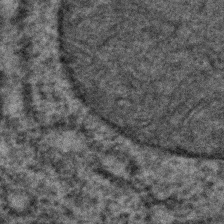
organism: C. elegans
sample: C. elegans embryo